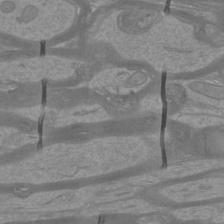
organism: Mouse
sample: Cortical neurons